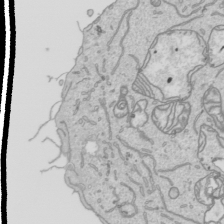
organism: Human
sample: Mitochondria in HCT116 cells